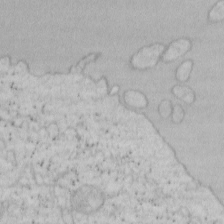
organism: Human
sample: HeLa cells